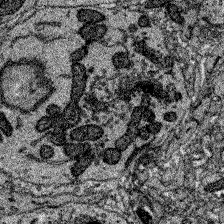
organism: Zebrafish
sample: Larval olfactory bulb